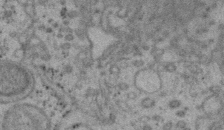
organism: Human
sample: HeLa cells